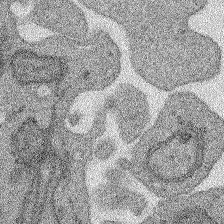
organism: Human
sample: HeLa cells